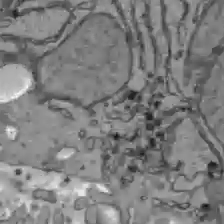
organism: C57BL Mouse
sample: Liver